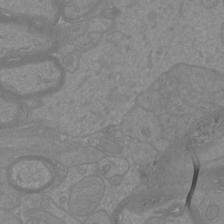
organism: Mouse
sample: Cortical neurons